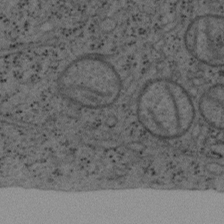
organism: Human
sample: HeLa cells